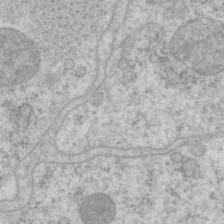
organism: P. pacificus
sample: Pharynx